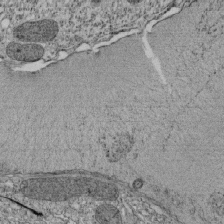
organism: Tetrahymena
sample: Cilia in tetrahymena